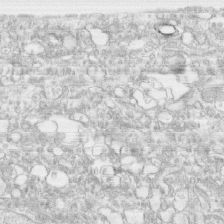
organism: Human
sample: CRL-1474